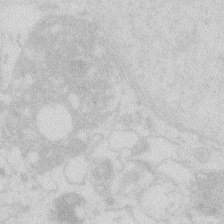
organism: Zebrafish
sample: Macrophage